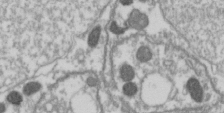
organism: Drosophila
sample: Cell division; meiosis; drosophila spermatocytes